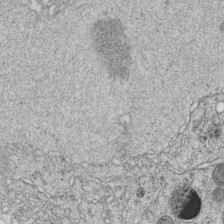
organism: C. elegans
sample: C. elegans embryo early stage